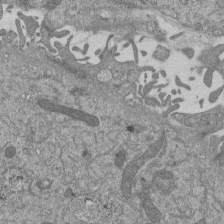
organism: Mouse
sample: ED-1 cell nuclei; centrioles